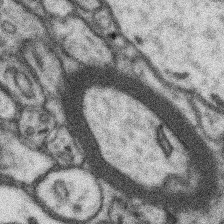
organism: Mouse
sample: Somatosensory cortex neuropil